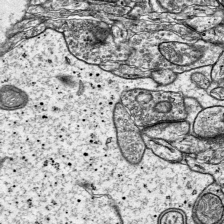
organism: Mouse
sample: Visual Cortex